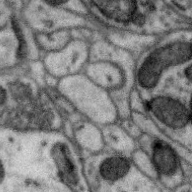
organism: Zebra finch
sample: Brain